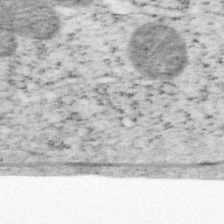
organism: Mouse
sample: OT-I killer T cells with ID8 ovarian cancer cells